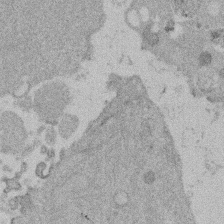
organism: Mouse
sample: Dividing mouse embryo 1 cell stage